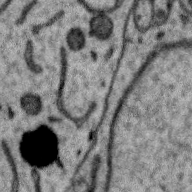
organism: Zebra finch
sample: Brain